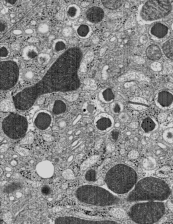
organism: C57BL Mouse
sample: Pancreatic islet